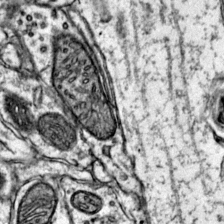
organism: Mouse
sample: Primary visual cortex